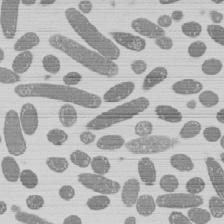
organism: E. coli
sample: Bacterial nucleoid